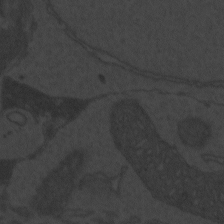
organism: Zebrafish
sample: Macrophage infected with Toxoplasma gondii